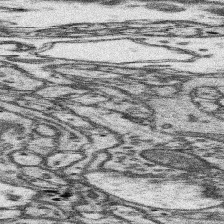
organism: Mouse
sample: Somatosensory cortex neuropil